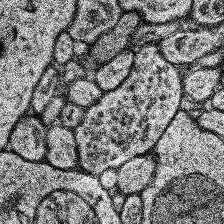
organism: Human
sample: Temporal Lobe